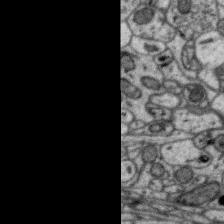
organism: Zebra finch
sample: Brain